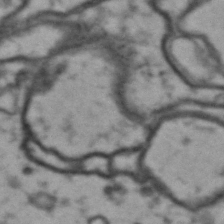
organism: Drosophila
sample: Brain